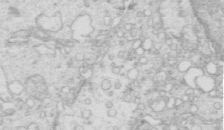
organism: Mouse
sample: Multiciliated cells